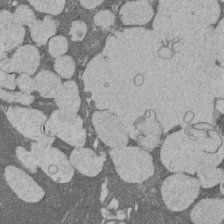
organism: Rat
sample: Salivary granule